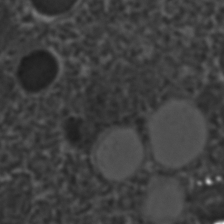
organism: C. elegans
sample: C. elegans embryo